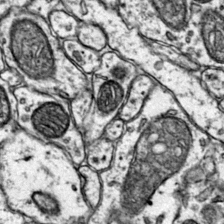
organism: Mouse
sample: Primary visual cortex